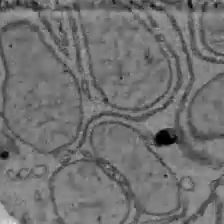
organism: C57BL Mouse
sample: Liver